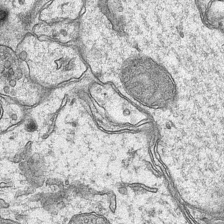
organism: Mouse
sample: CA1 Hippocampus